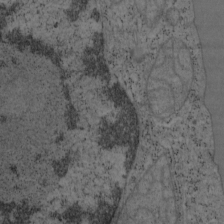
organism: Mouse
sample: OT-I killer T cells with ID8 ovarian cancer cells